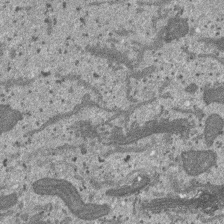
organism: Human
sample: Lung epithelial cells infected with SARS-CoV-2